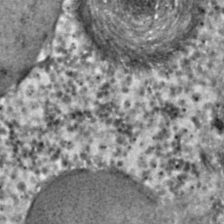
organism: C. elegans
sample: C. elegans embryo